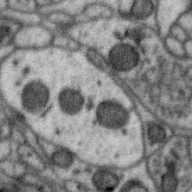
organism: Zebra finch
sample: Brain